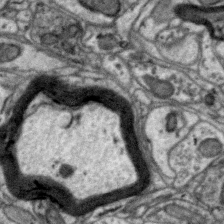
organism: Zebra finch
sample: Brain